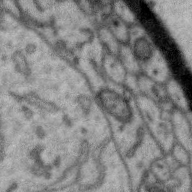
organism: Zebra finch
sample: Brain